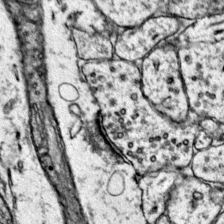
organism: Mouse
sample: Primary visual cortex